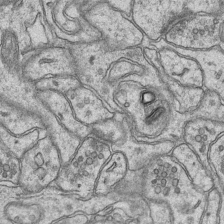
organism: Mouse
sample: CA1 Hippocampus